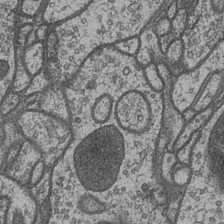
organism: Drosophila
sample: Optic medulla